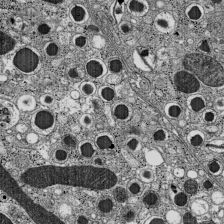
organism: C57BL Mouse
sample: Pancreatic islet